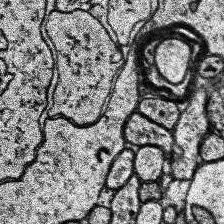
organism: Human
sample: Temporal Lobe